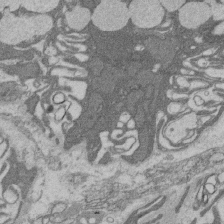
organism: Rat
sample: Salivary granule